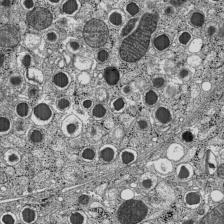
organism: C57BL Mouse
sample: Pancreatic islet